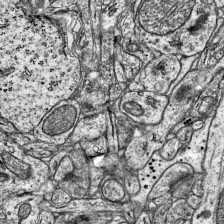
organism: Mouse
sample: Visual Cortex